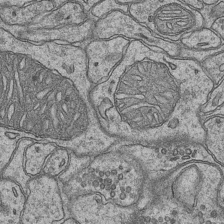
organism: Mouse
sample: CA1 Hippocampus